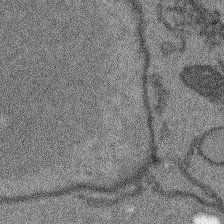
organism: Arabidopsis thaliana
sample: Root tip